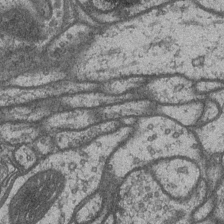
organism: Drosophila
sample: Optic medulla